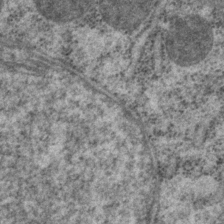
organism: P. pacificus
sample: Pharynx